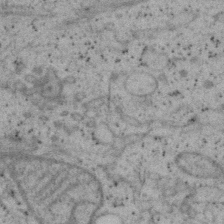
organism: Human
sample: HeLa cells